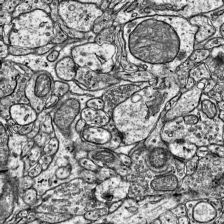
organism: Mouse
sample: Visual Cortex